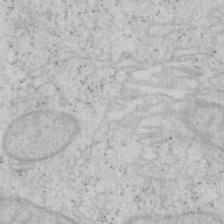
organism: Human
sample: HeLa cells